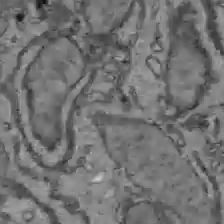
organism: C57BL Mouse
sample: Liver